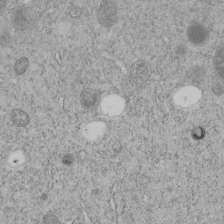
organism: C. elegans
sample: C. elegans embryo early stage